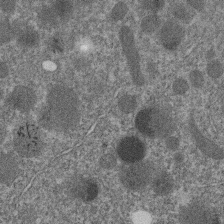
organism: C. elegans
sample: C. elegans embryo early stage